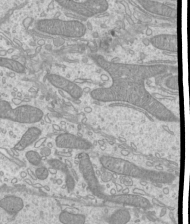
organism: Mouse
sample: Cilia; mouse epididymis